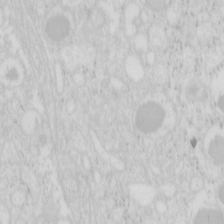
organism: Mouse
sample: Pancreas